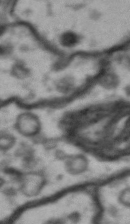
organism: Drosophila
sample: Brain